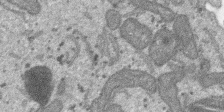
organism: Human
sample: Lung epithelial cells infected with SARS-CoV-2